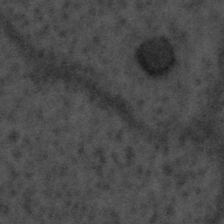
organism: Tuwongella immobilis